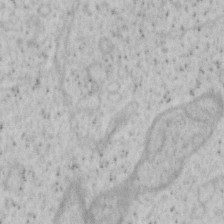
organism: Human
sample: HeLa cells